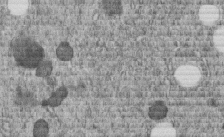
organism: C. elegans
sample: C. elegans embryo early stage